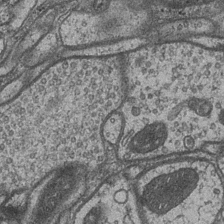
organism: Drosophila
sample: Optic medulla